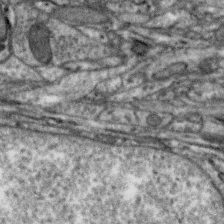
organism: Zebra finch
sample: Brain